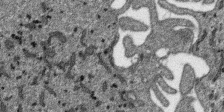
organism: Human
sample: Lung epithelial cells infected with SARS-CoV-2